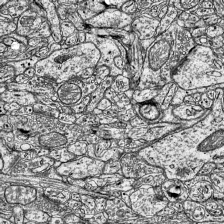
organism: Mouse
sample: Visual Cortex